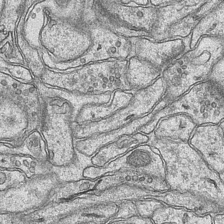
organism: Mouse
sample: CA1 Hippocampus